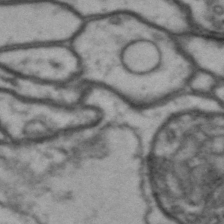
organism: Drosophila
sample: Brain